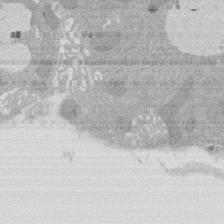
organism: Rat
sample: Salivary granule